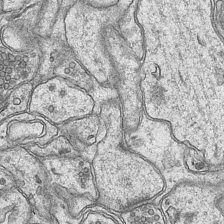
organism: Mouse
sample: CA1 Hippocampus